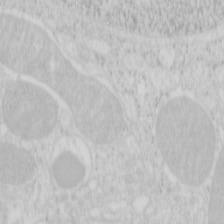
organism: Mouse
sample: Pancreas